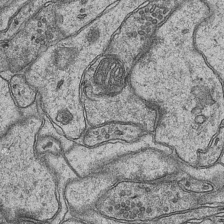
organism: Mouse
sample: CA1 Hippocampus